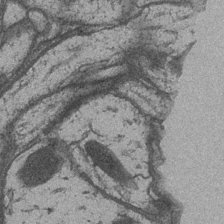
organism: Drosophila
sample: Optic medulla